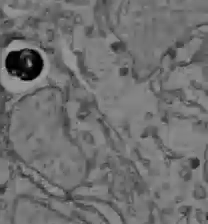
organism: C57BL Mouse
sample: Liver